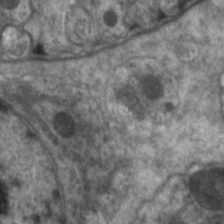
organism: C. elegans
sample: Pharynx